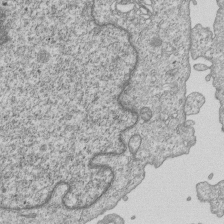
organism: Human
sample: MDA-MB-231 cells